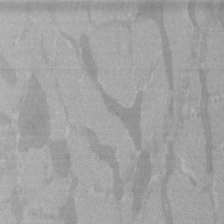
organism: C57BL Mouse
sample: Tibialis anterior muscle cell